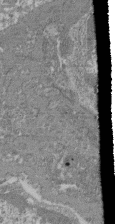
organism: Mouse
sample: Glomerulus